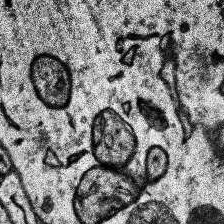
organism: Human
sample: Temporal Lobe